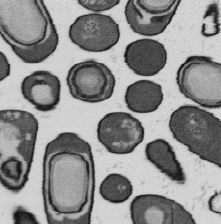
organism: B. subtilis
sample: Bacterial spore